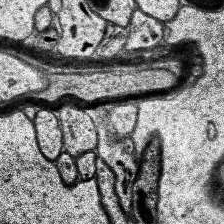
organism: Human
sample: Temporal Lobe